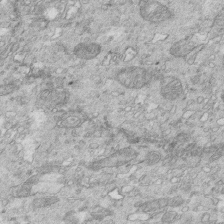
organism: Mouse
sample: Multiciliated cells